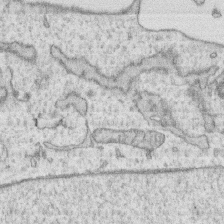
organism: Human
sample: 1205lu cells